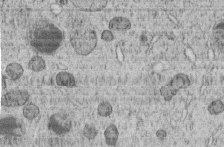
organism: C. elegans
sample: C. elegans embryo early stage